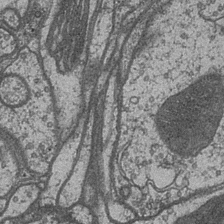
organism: Drosophila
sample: Optic medulla